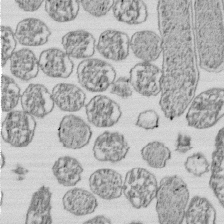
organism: E. coli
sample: Bacterial nucleoid